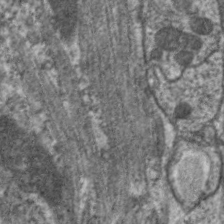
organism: C. elegans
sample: Pharynx